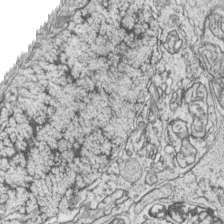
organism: Zebrafish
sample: synaptic ribbons in rod cells and cone cells